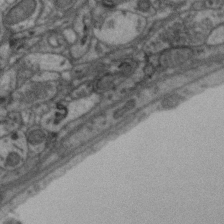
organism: Zebra finch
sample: Brain